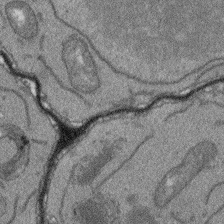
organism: Arabidopsis thaliana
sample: Root tip